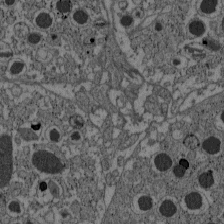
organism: C57BL Mouse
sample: Pancreatic islet